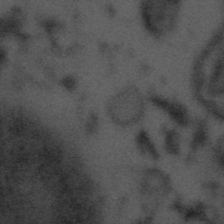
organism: Tuwongella immobilis